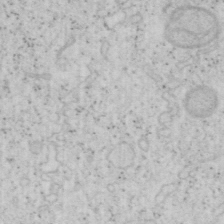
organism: Human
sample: HeLa cells